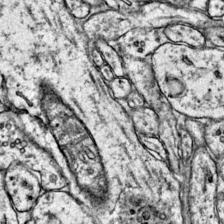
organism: Mouse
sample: Primary visual cortex